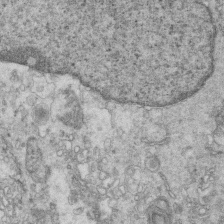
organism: Mouse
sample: Multiciliated cells